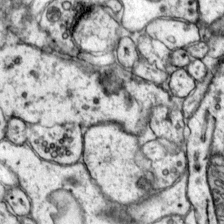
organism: Mouse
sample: Primary visual cortex